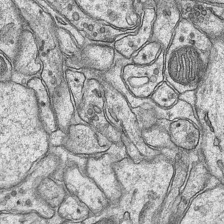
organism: Mouse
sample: CA1 Hippocampus